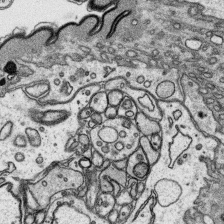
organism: Platynereis dumerilii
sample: Parapodia